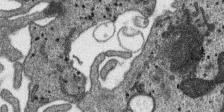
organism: Human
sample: Lung epithelial cells infected with SARS-CoV-2